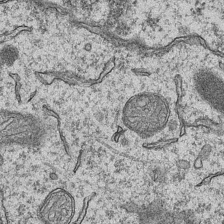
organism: Mouse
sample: CA1 Hippocampus